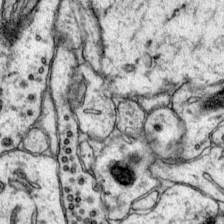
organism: Mouse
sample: Primary visual cortex